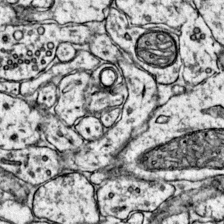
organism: Mouse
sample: Primary visual cortex